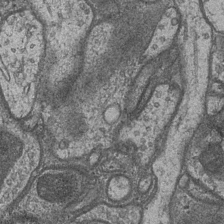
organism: Drosophila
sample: Optic medulla